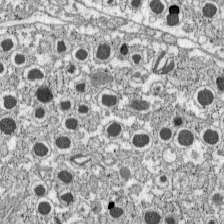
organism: C57BL Mouse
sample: Pancreatic islet